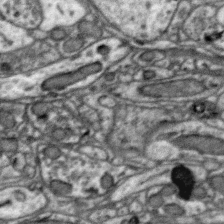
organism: Zebra finch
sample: Brain